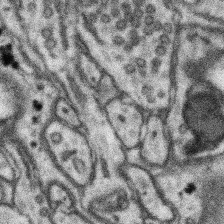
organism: Mouse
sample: Somatosensory cortex neuropil